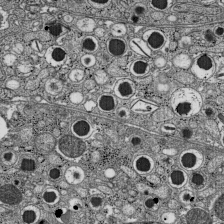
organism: C57BL Mouse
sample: Pancreatic islet